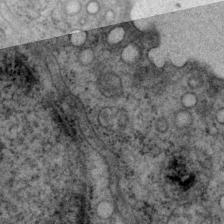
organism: P. pacificus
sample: Pharynx